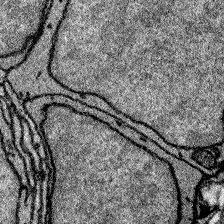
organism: Zebrafish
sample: Larval olfactory bulb